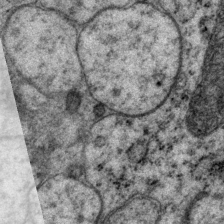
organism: P. pacificus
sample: Pharynx